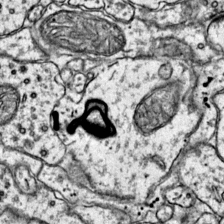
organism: Mouse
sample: Primary visual cortex